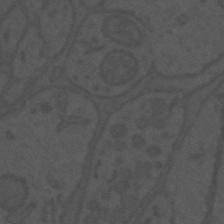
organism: Mouse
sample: Suprachiasmatic nucleus